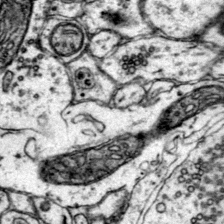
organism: Mouse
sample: Primary visual cortex